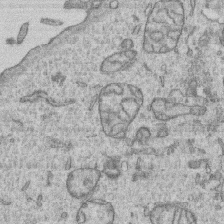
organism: Human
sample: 1205lu cells